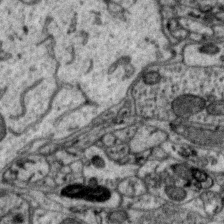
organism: Zebra finch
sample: Brain